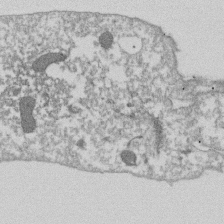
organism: Dictyostelium discoideum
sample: Dictyostelium multivesicular bodies